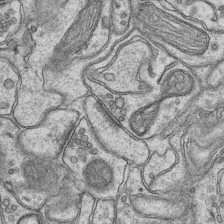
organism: Mouse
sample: CA1 Hippocampus